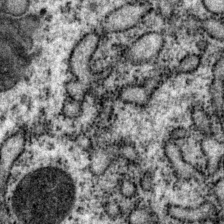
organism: P. pacificus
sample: Pharynx